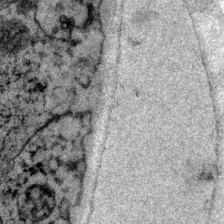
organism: P. pacificus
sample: Pharynx